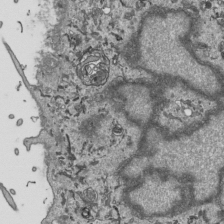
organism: Human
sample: Mitochondria in HCT116 cells